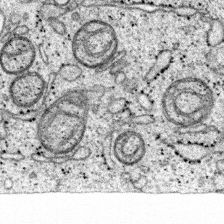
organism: Human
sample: HeLa cells